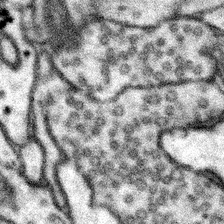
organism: Mouse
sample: Somatosensory cortex neuropil